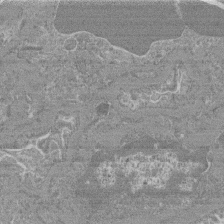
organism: Mouse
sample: Glomerulus